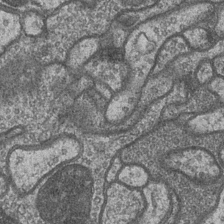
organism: Drosophila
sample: Optic medulla